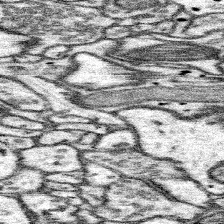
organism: Mouse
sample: Somatosensory cortex neuropil